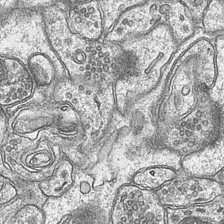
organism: Mouse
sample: CA1 Hippocampus